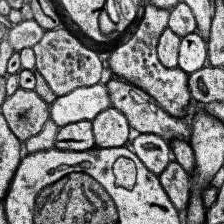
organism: Human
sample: Temporal Lobe